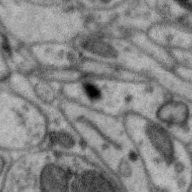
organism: Zebra finch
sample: Brain